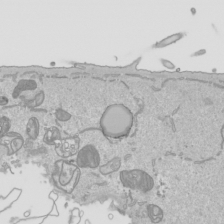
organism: Human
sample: Mitochondria in HCT116 cells